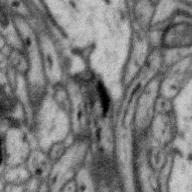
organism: Zebra finch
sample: Brain